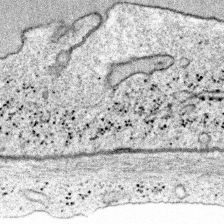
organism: Human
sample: HeLa cells